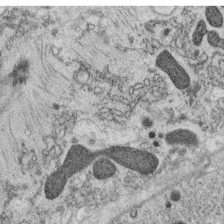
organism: C. elegans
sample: C. elegans oocyte; sperm cells